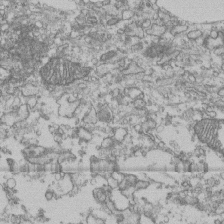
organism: Human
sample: Fibroblast cells